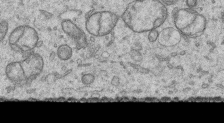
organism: Human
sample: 1205lu cells